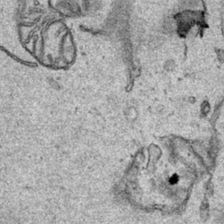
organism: Human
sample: Mitochondria in HCT116 cells